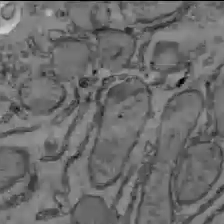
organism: C57BL Mouse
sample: Liver